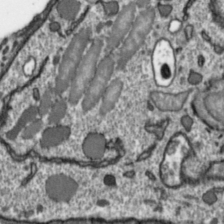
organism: Toxoplasma gondii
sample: Parasites in a vacuole inside a host cell